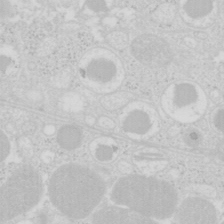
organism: Mouse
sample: Pancreas